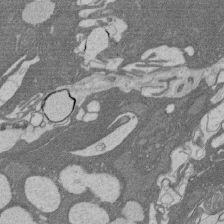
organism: Rat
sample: Salivary granule